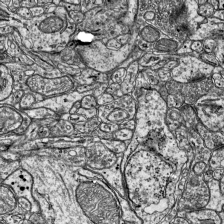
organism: Mouse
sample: Visual Cortex